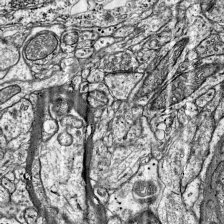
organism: Mouse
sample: Visual Cortex